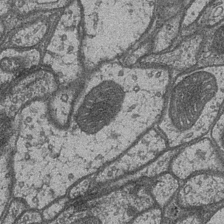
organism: Drosophila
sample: Optic medulla